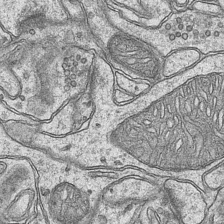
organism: Mouse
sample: CA1 Hippocampus